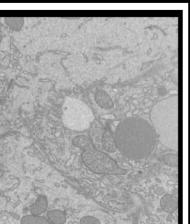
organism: Mouse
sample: Cilia; mouse epididymis